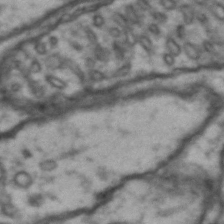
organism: Drosophila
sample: Brain